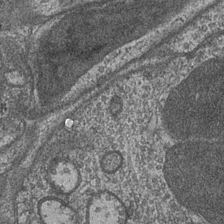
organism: Drosophila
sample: Optic medulla